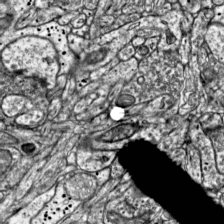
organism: Mouse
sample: Visual Cortex